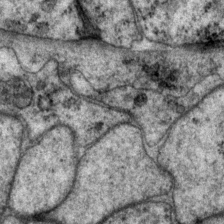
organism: P. pacificus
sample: Pharynx